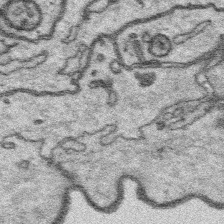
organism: Platynereis dumerilii